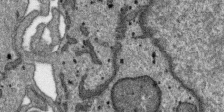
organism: Human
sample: Lung epithelial cells, uninfected (mock) control